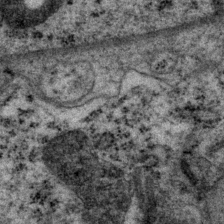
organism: P. pacificus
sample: Pharynx